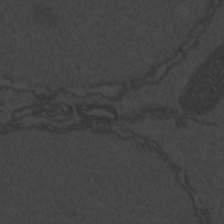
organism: Zebrafish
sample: Macrophage infected with Toxoplasma gondii